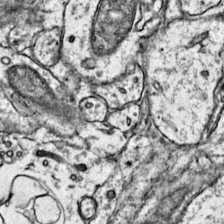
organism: Mouse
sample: Primary visual cortex